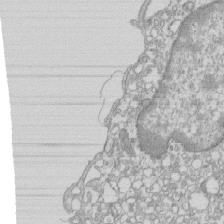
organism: Mouse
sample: Macrophages